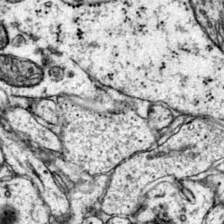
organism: Mouse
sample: Primary visual cortex